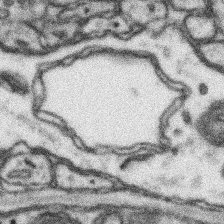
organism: Mouse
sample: Somatosensory cortex neuropil